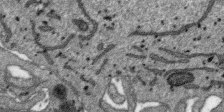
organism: Human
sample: Lung epithelial cells, uninfected (mock) control